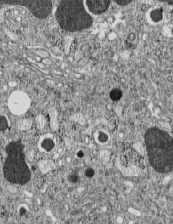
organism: C57BL Mouse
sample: Pancreatic islet